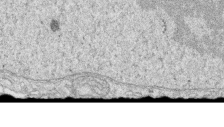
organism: Human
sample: HeLa cell HIV synapse